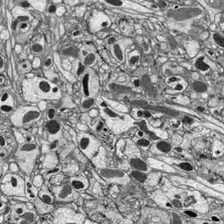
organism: Drosophila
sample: Optic lobe